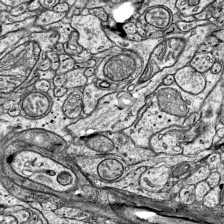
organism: Mouse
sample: Visual Cortex